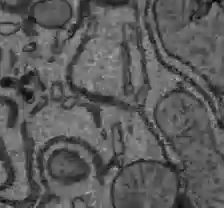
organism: C57BL Mouse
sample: Liver